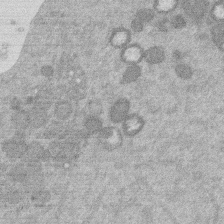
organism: Mouse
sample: Dividing mouse embryo 1 cell stage